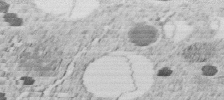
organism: C. elegans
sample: C. elegans embryo early stage